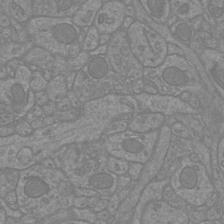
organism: Mouse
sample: Cortical neurons